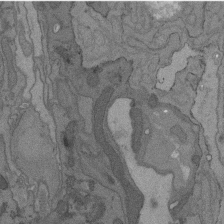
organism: C. elegans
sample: AFD neurons C. elegans